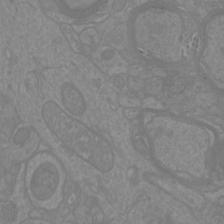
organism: Mouse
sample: Cortical neurons